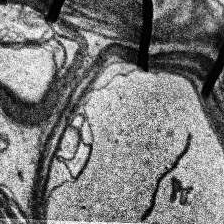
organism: Human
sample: Temporal Lobe